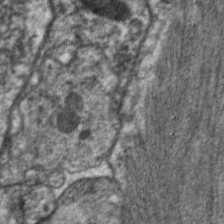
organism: C. elegans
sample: Pharynx